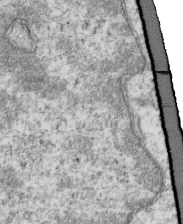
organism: Mouse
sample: Activated OT-1 CD8+ T cells